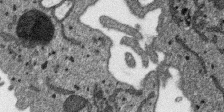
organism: Human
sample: Lung epithelial cells infected with SARS-CoV-2